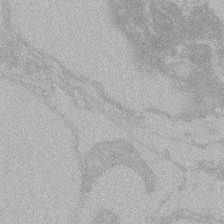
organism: Zebrafish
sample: Macrophage infected with Toxoplasma gondii